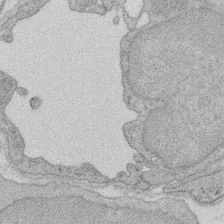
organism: Rat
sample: Salivary granule